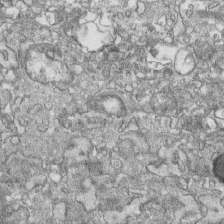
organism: Human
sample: CRL-1474